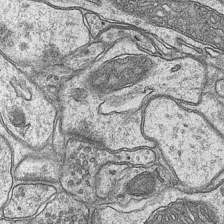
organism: Mouse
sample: CA1 Hippocampus